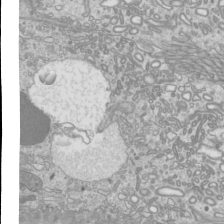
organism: Mouse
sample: Cilia; mouse epididymis